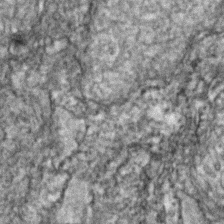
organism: Zebrafish